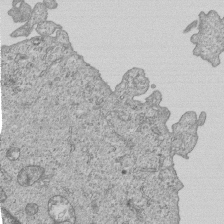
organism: Human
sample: MDA-MB-231 cells